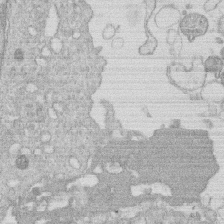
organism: Human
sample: Macrophage cells